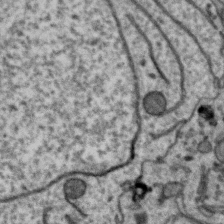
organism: Zebra finch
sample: Brain